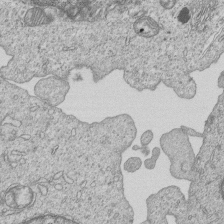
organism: Human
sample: MDA-MB-231 cells